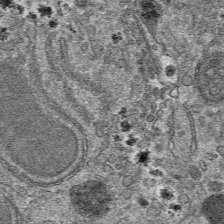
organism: Mouse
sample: Mouse hepatocytes